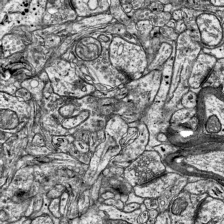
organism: Mouse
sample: Visual Cortex